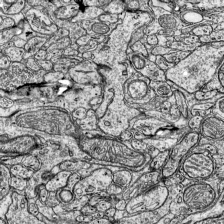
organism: Mouse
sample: Visual Cortex